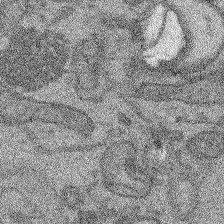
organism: Human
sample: HeLa cells